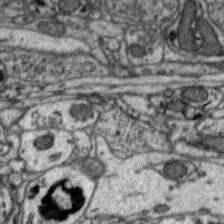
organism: Zebra finch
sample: Brain